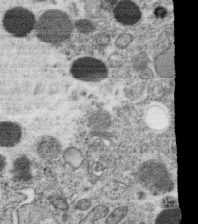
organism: C. elegans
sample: C. elegans oocyte; sperm cells